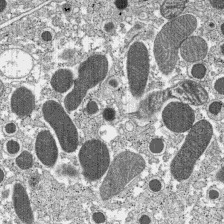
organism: C57BL Mouse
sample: Pancreatic islet